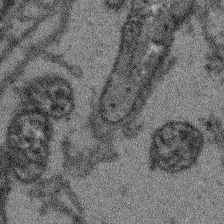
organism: Arabidopsis thaliana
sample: Root tip